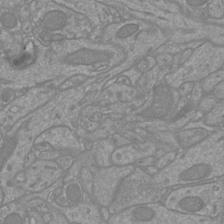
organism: Mouse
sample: Cortical neurons